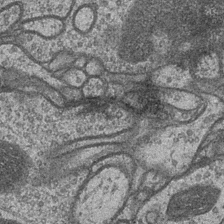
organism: Drosophila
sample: Optic medulla